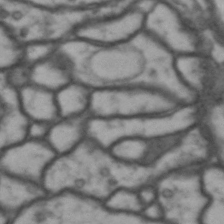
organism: Drosophila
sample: Brain